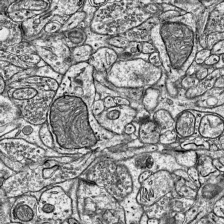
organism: Mouse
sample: Visual Cortex